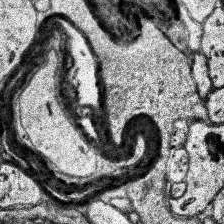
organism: Human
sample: Temporal Lobe